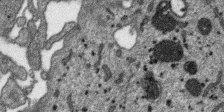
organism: Human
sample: Lung epithelial cells infected with SARS-CoV-2